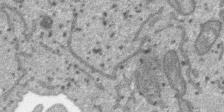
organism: Human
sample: Lung epithelial cells infected with SARS-CoV-2